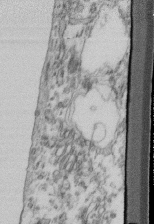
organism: Mouse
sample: Cilia; retinal pigment epithelium